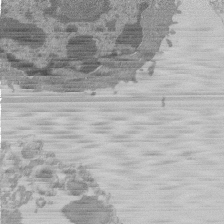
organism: Mouse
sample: Activated Pmel transgenic CD8+ T Cells